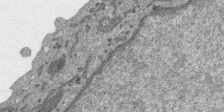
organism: Human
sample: Lung epithelial cells infected with SARS-CoV-2